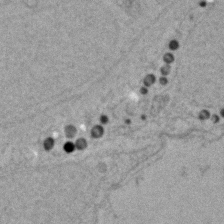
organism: Zebrafish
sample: Zebrafish embryo